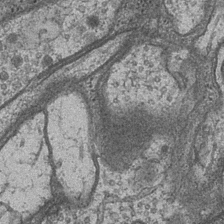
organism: Drosophila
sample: Optic medulla